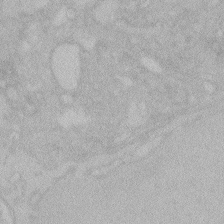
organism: Zebrafish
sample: Macrophage infected with Toxoplasma gondii